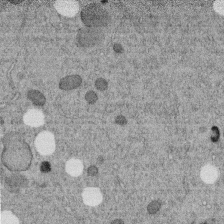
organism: C. elegans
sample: C. elegans embryo early stage